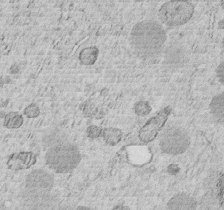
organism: C. elegans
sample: C. elegans embryo early stage